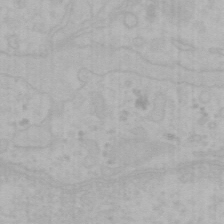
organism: Mouse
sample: Choroid plexus